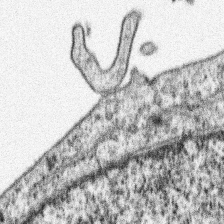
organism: Human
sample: HeLa cells